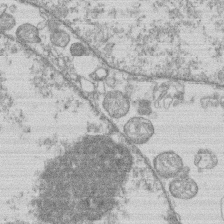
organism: Human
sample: Macrophage cells